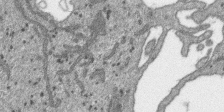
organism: Human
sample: Lung epithelial cells infected with SARS-CoV-2